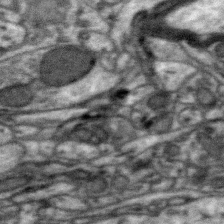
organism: Zebra finch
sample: Brain